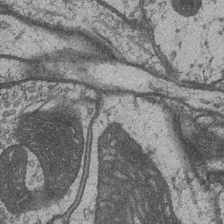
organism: Drosophila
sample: Optic medulla